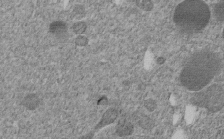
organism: C. elegans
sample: C. elegans embryo early stage